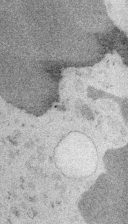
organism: Embia sp.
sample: Silk gland